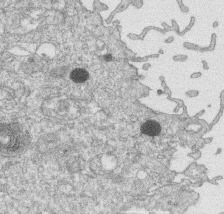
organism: Human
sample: HeLa cell HIV synapse